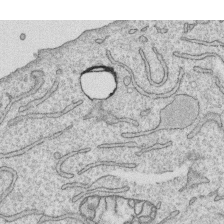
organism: Human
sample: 1205lu cells